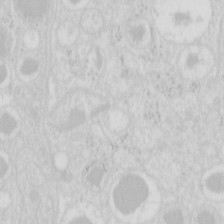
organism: Mouse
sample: Pancreas